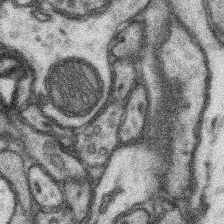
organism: Mouse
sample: Somatosensory cortex neuropil